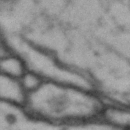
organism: Drosophila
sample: Brain